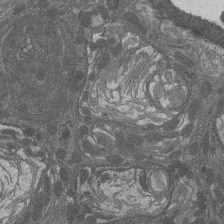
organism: Drosophila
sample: Antenna